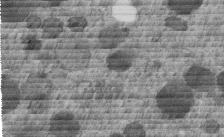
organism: C. elegans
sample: C. elegans embryo early stage